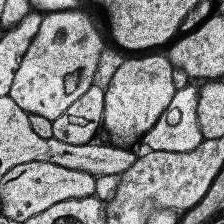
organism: Human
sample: Temporal Lobe